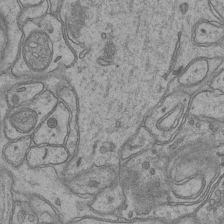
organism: Mouse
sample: CA1 Hippocampus